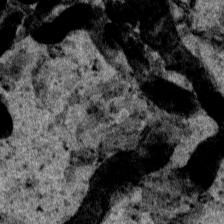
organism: Human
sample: Mitochondria in HCT116 cells